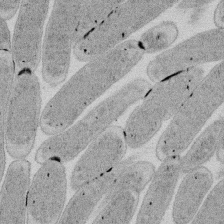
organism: E. coli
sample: Bacterial nucleoid